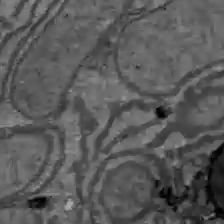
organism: C57BL Mouse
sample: Liver